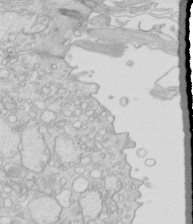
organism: Mouse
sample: Multiciliated cells